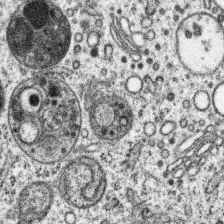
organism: Human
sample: HeLa cells